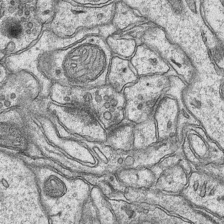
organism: Mouse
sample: CA1 Hippocampus